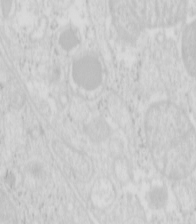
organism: Mouse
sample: Pancreas